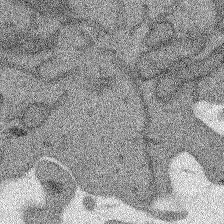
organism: Human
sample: HeLa cells